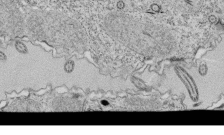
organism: Tetrahymena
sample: Cilia in tetrahymena